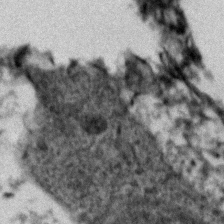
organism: Zebrafish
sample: Zebrafish embryo